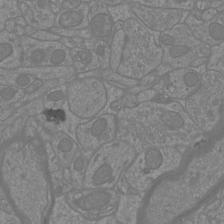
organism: Mouse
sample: Cortical neurons